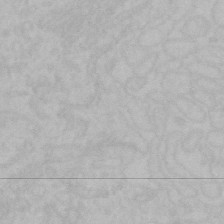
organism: Mouse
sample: Choroid plexus